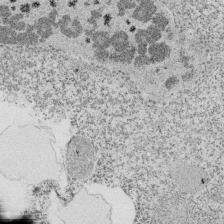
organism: Tetrahymena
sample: Cilia in tetrahymena